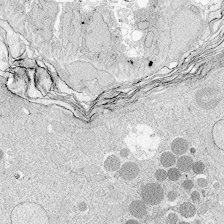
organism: Zebrafish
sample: Whole-Brain